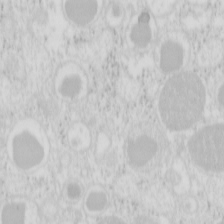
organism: Mouse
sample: Pancreas